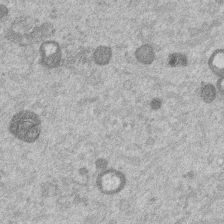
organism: Mouse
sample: Dividing mouse embryo 1 cell stage